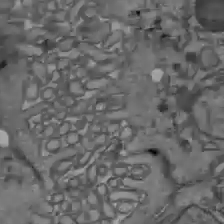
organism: C57BL Mouse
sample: Liver